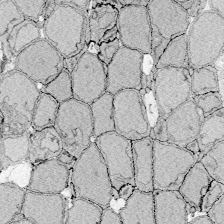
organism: Zebrafish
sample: Whole-Brain